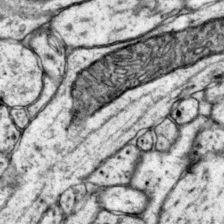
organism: Mouse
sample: Primary visual cortex